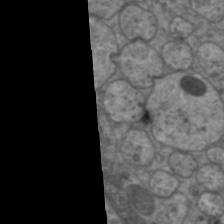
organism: C. elegans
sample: Pharynx